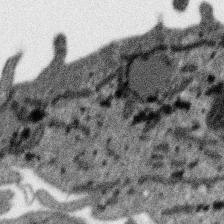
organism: Human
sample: Lung epithelial cells infected with SARS-CoV-2